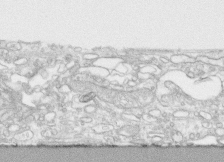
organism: Human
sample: CRL-1474